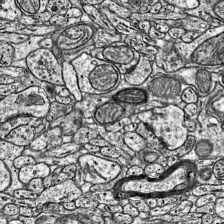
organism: Mouse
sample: Visual Cortex